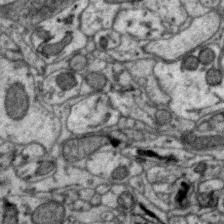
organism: Zebra finch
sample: Brain